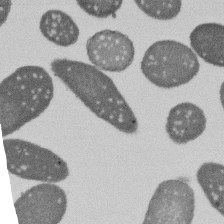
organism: E. coli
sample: Bacterial nucleoid